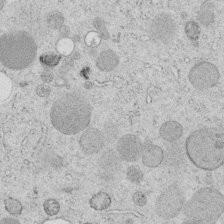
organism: C. elegans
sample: C. elegans embryo early stage